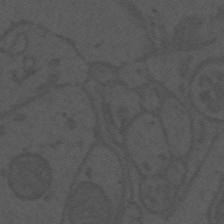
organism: Mouse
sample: Suprachiasmatic nucleus